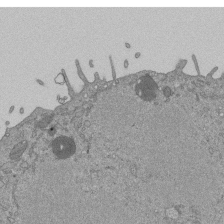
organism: Mouse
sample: ED-1 cell nuclei; centrioles